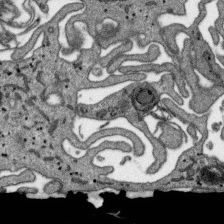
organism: Human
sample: Lung epithelial cells, uninfected (mock) control